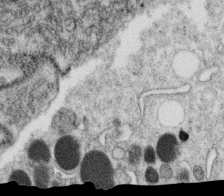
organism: C. elegans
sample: C. elegans oocyte; sperm cells